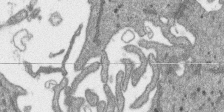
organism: Human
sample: Lung epithelial cells infected with SARS-CoV-2